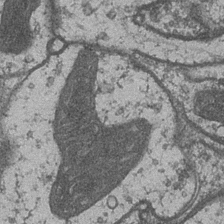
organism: Drosophila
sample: Optic medulla